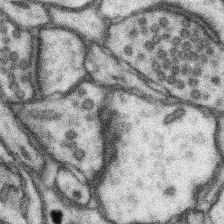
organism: Mouse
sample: Somatosensory cortex neuropil